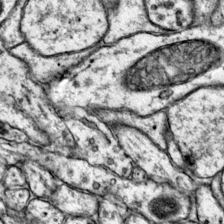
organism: Mouse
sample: Primary visual cortex